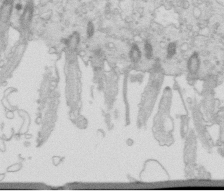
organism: Mouse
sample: Multiciliated cells